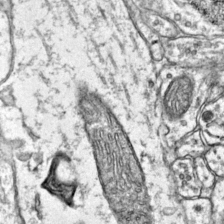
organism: Mouse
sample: Primary visual cortex